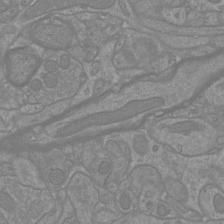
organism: Mouse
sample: Cortical neurons